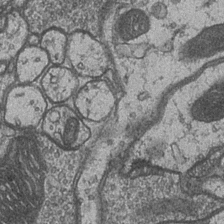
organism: Drosophila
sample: Optic medulla